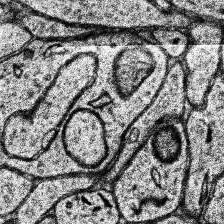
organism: Human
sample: Temporal Lobe